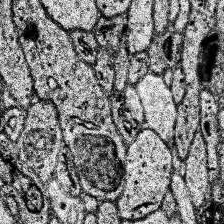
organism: Human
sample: Temporal Lobe